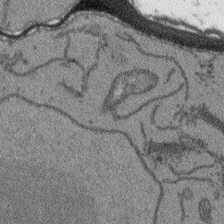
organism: Arabidopsis thaliana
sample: Root tip